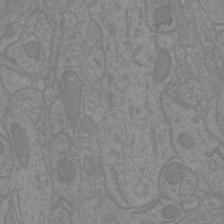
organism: Mouse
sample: Cortical neurons